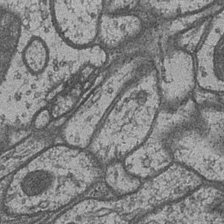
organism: Drosophila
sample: Optic medulla